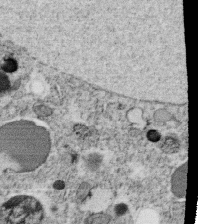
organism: C. elegans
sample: C. elegans oocyte; sperm cells